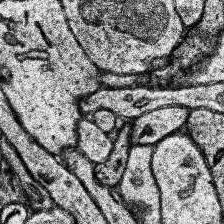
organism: Human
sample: Temporal Lobe